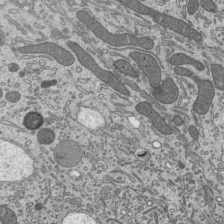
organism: Mouse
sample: Mouse epididymis efferent ductule cilia